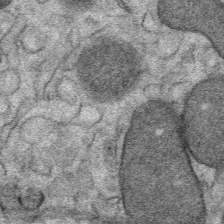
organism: Mouse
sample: Mouse Salivary gland